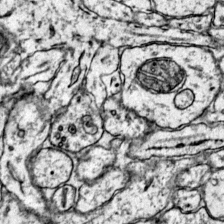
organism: Mouse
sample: Primary visual cortex